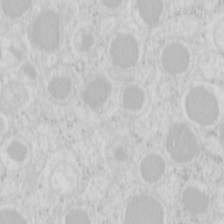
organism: Mouse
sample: Pancreas